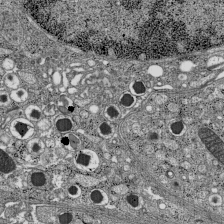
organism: C57BL Mouse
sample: Pancreatic islet